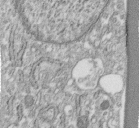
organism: Human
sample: Centriole in fibroblast cells